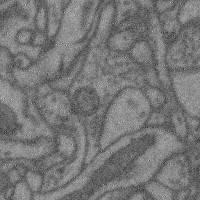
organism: Mouse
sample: Cerebral cortex